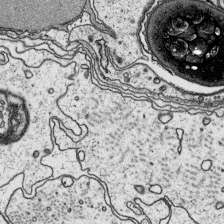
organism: Platynereis dumerilii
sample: Parapodia